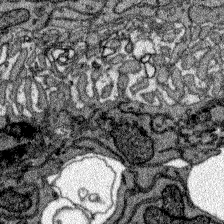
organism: Zebrafish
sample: Larval olfactory bulb